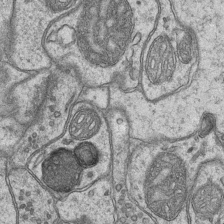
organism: Mouse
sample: CA1 Hippocampus